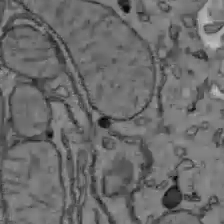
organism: C57BL Mouse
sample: Liver